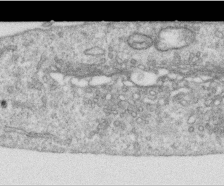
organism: Human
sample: Centriole in RPE cells